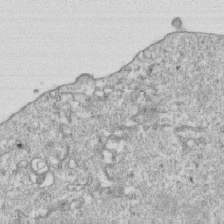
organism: Mouse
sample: Activated OT-1 CD8+ T cells